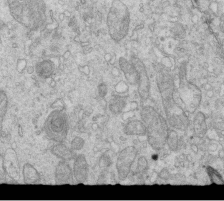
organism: Mouse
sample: Multiciliated cells